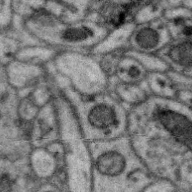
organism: Zebra finch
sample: Brain